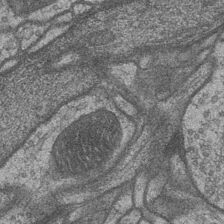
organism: Drosophila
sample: Optic medulla